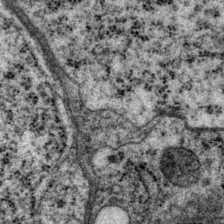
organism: P. pacificus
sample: Pharynx